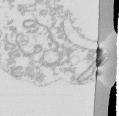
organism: Mouse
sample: Activated Pmel transgenic CD8+ T Cells